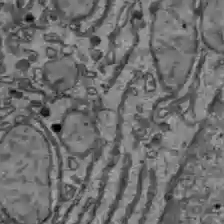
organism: C57BL Mouse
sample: Liver